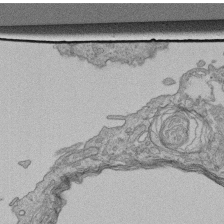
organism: Human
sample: Retinal organoid Rod and Cone cells